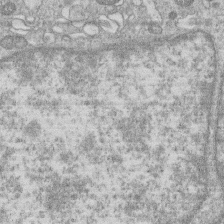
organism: Human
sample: Macrophage cells